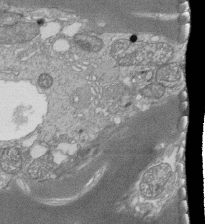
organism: Tetrahymena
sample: Cilia in tetrahymena